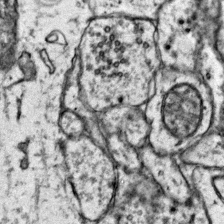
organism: Mouse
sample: Primary visual cortex